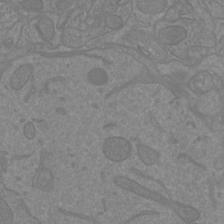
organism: Mouse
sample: Cortical neurons